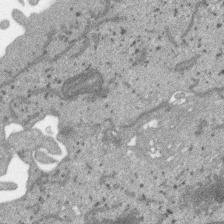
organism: Human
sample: Lung epithelial cells infected with SARS-CoV-2